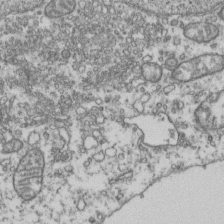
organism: Human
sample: Activated Jurkat CD4+ T cells